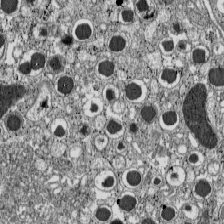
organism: C57BL Mouse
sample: Pancreatic islet